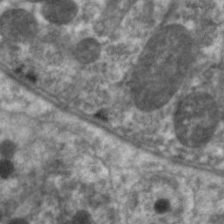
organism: C. elegans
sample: Pharynx